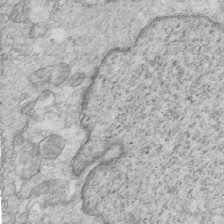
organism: Mouse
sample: Multiciliated cells